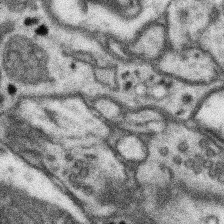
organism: Mouse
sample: Somatosensory cortex neuropil